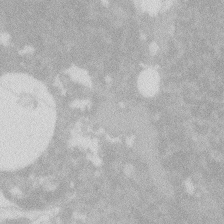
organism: Zebrafish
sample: Macrophage